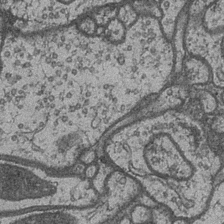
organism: Drosophila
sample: Optic medulla